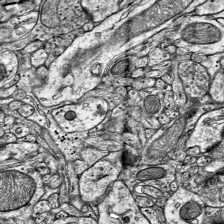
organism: Mouse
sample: Visual Cortex